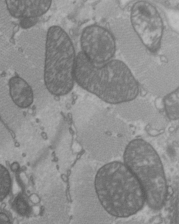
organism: C57BL Mouse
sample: Heart